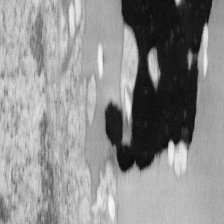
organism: Human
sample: HeLa cells